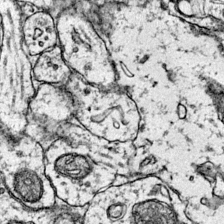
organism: Mouse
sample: Primary visual cortex